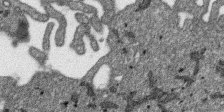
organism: Human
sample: Lung epithelial cells infected with SARS-CoV-2